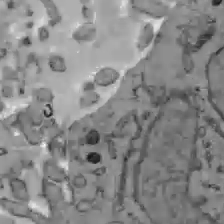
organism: C57BL Mouse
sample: Liver